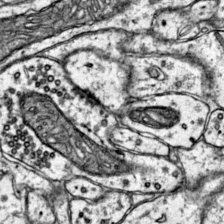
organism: Mouse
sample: Primary visual cortex